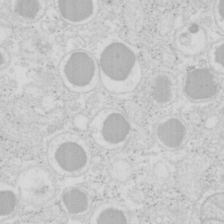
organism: Mouse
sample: Pancreas